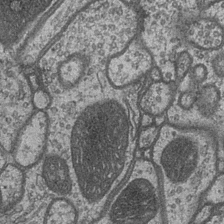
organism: Drosophila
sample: Optic medulla